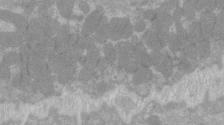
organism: C57BL Mouse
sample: Tibialis anterior muscle cell